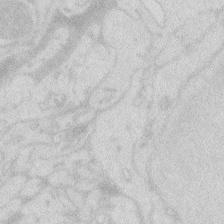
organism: Zebrafish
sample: Macrophage